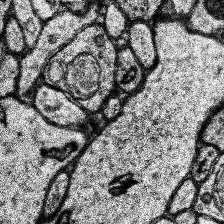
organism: Human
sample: Temporal Lobe